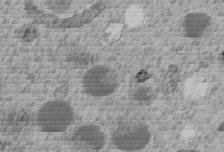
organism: C. elegans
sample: C. elegans embryo early stage